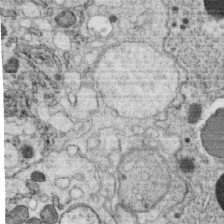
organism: C. elegans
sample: C. elegans oocyte; sperm cells